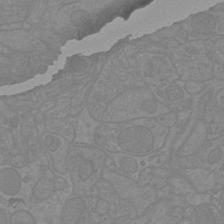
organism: Mouse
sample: Cortical neurons